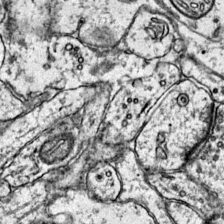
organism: Mouse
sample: Primary visual cortex